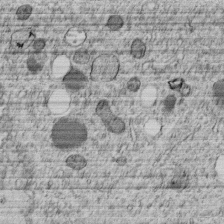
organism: C. elegans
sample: C. elegans embryo early stage